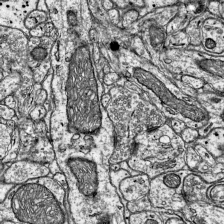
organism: Mouse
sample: Visual Cortex